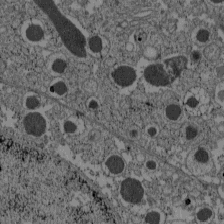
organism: C57BL Mouse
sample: Pancreatic islet